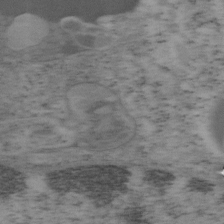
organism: Mouse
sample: OT-I killer T cells with ID8 ovarian cancer cells